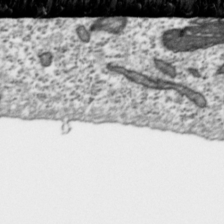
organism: Toxoplasma gondii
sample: Parasites in a vacuole inside a host cell